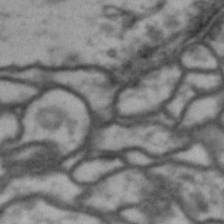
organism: Drosophila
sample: Brain